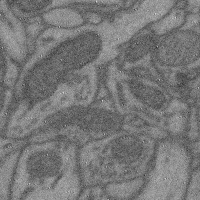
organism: Mouse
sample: Cerebral cortex